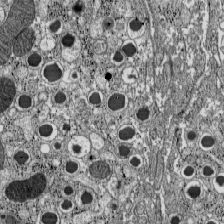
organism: C57BL Mouse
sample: Pancreatic islet